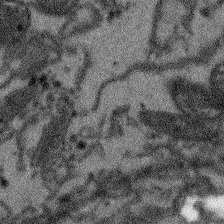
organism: Arabidopsis thaliana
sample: Root tip